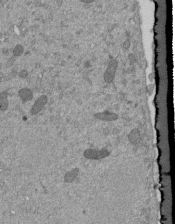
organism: Mouse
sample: ED-1 cell nuclei; centrioles